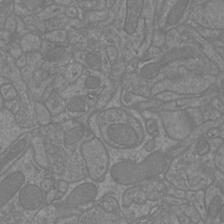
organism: Mouse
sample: Cortical neurons